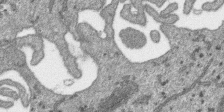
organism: Human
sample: Lung epithelial cells infected with SARS-CoV-2